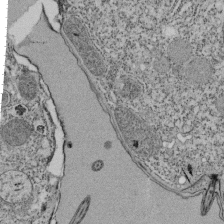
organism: Tetrahymena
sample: Cilia in tetrahymena